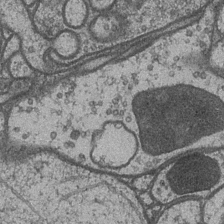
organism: Drosophila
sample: Optic medulla